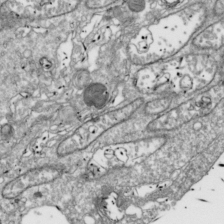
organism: Drosophila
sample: Cell division; meiosis; drosophila spermatocytes